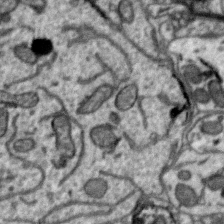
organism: Zebra finch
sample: Brain